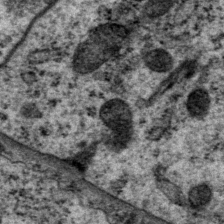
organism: P. pacificus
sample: Pharynx